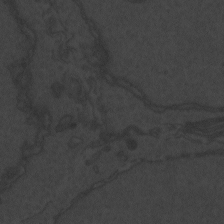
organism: Zebrafish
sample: Macrophage infected with Toxoplasma gondii